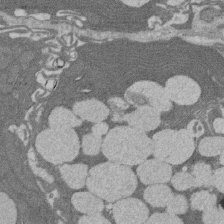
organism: Rat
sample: Salivary granule